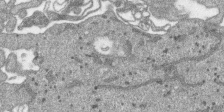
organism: Human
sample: Lung epithelial cells infected with SARS-CoV-2